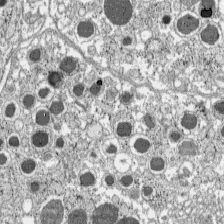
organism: C57BL Mouse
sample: Pancreatic islet